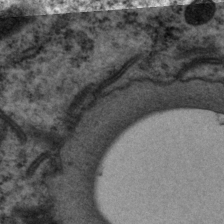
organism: P. pacificus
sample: Pharynx